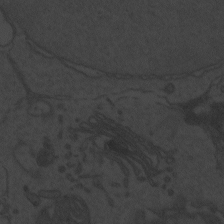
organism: Zebrafish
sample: Macrophage infected with Toxoplasma gondii